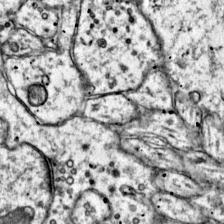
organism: Mouse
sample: Primary visual cortex